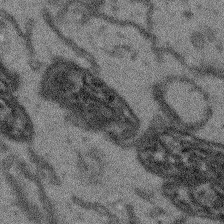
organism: Arabidopsis thaliana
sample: Root tip